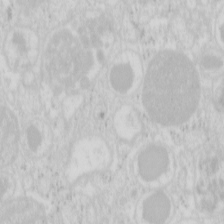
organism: Mouse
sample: Pancreas